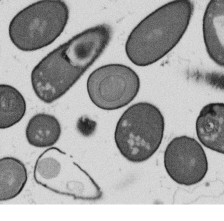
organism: B. subtilis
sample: Bacterial spore